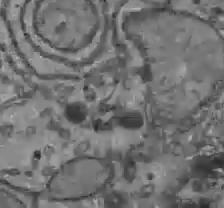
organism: C57BL Mouse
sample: Liver